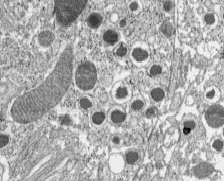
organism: C57BL Mouse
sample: Pancreatic islet